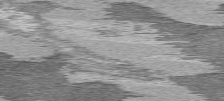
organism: C57BL Mouse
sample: Heart